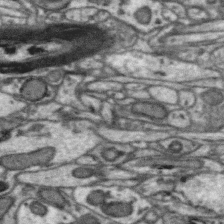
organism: Zebra finch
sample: Brain